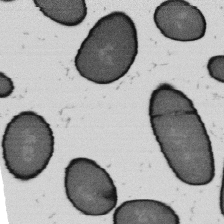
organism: B. subtilis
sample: Bacterial spore